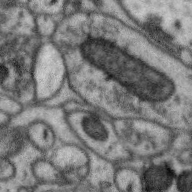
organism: Zebra finch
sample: Brain